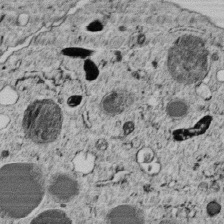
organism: C. elegans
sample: C. elegans embryo early stage